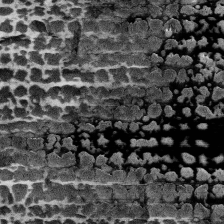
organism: Human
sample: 1205lu cells